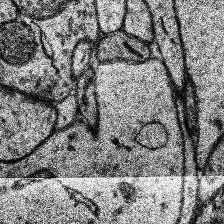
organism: Human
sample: Temporal Lobe